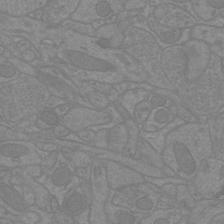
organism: Mouse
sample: Cortical neurons